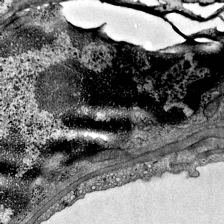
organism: Mouse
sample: Visual Cortex